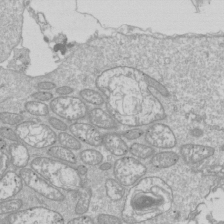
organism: Drosophila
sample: Cell division; meiosis; drosophila spermatocytes